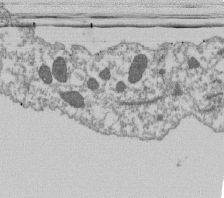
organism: Dictyostelium discoideum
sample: Dictyostelium multivesicular bodies